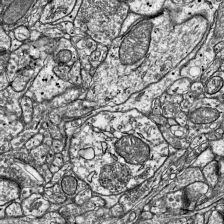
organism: Mouse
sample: Visual Cortex